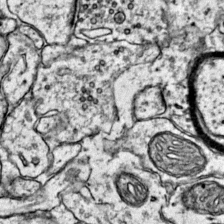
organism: Mouse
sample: Primary visual cortex